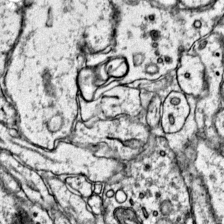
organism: Mouse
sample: Primary visual cortex